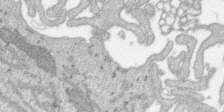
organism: Human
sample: Lung epithelial cells infected with SARS-CoV-2